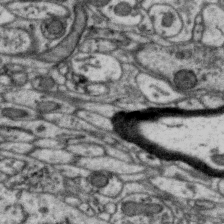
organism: Zebra finch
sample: Brain